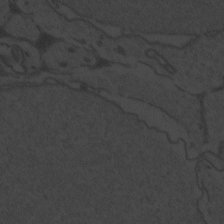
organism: Zebrafish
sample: Macrophage infected with Toxoplasma gondii